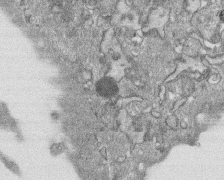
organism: Human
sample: CRL-1474